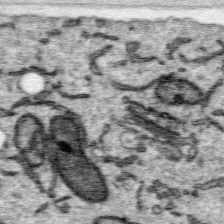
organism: Human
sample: HeLa cells